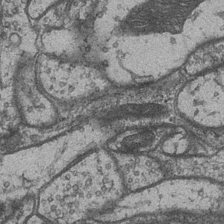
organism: Drosophila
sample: Optic medulla